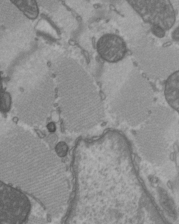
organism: C57BL Mouse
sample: Heart